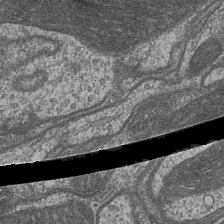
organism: Drosophila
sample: Optic medulla